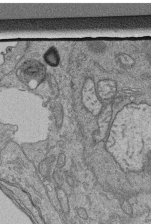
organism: Human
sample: Retinal organoid Rod and Cone cells